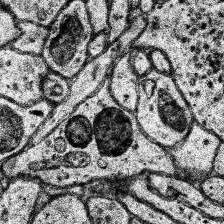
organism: Human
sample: Temporal Lobe